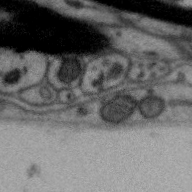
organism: Zebra finch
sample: Brain